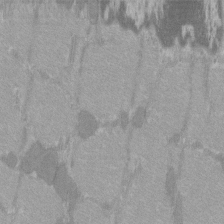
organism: C57BL Mouse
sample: Tibialis anterior muscle cell